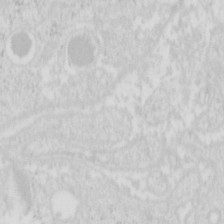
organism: Mouse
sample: Pancreas